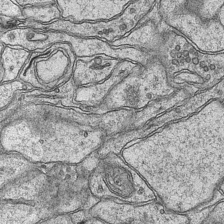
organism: Mouse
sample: CA1 Hippocampus